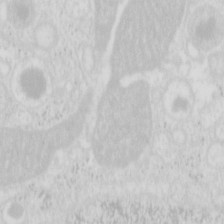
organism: Mouse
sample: Pancreas